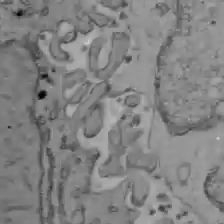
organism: C57BL Mouse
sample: Liver